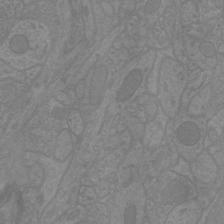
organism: Mouse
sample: Cortical neurons